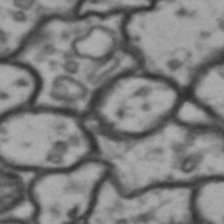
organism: Drosophila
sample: Brain